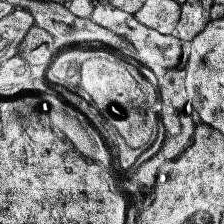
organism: Human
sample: Temporal Lobe